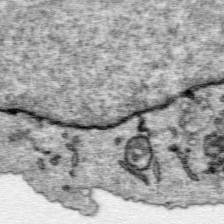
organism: Human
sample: HeLa cells